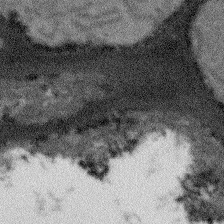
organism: Arabidopsis thaliana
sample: Root tip